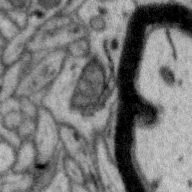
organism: Zebra finch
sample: Brain